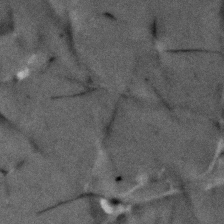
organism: Human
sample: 1205lu cells